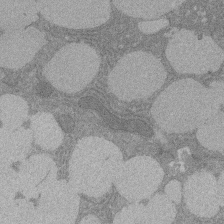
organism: Rat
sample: Salivary granule